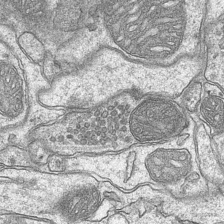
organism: Mouse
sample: CA1 Hippocampus